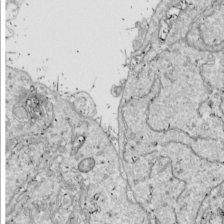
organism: Drosophila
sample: Cell division; meiosis; drosophila spermatocytes